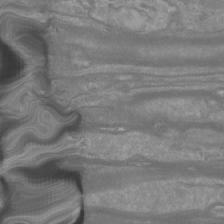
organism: Mouse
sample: Cortical neurons